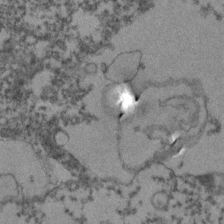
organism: Zebrafish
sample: Zebrafish embryo